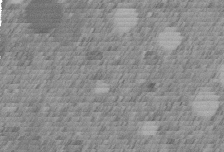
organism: C. elegans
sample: C. elegans embryo early stage